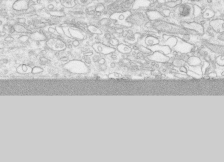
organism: Human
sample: CRL-1474